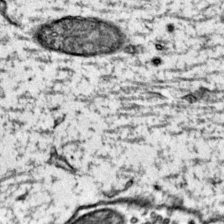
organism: Mouse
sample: Primary visual cortex